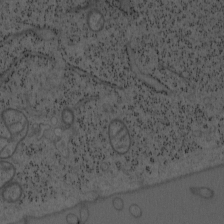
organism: Mouse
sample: OT-I killer T cells with ID8 ovarian cancer cells